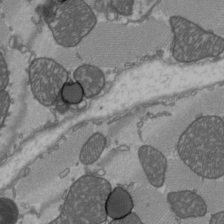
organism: C57BL Mouse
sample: Heart